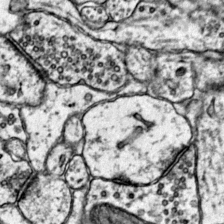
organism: Mouse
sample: Primary visual cortex